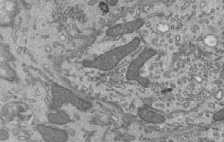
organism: Mouse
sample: Mouse epididymis efferent ductule cilia